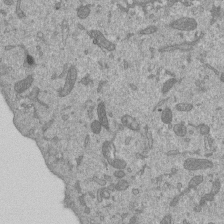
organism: Mouse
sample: ED-1 cell nuclei; centrioles